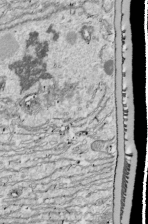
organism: Drosophila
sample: Cell division; meiosis; drosophila spermatocytes